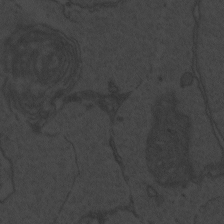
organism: Zebrafish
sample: Macrophage infected with Toxoplasma gondii